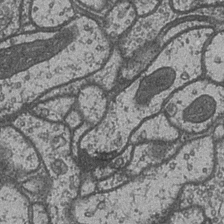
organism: Drosophila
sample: Optic medulla